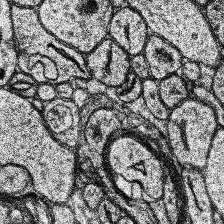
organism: Human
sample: Temporal Lobe